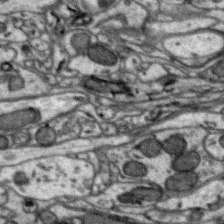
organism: Zebra finch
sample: Brain